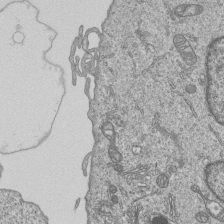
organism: Human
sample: MDA-MB-231 cells